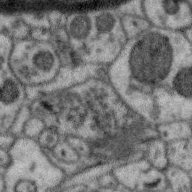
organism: Zebra finch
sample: Brain